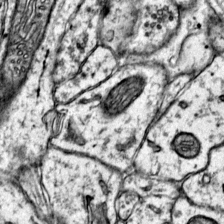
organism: Mouse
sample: Primary visual cortex